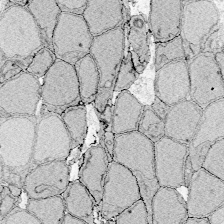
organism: Zebrafish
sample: Whole-Brain